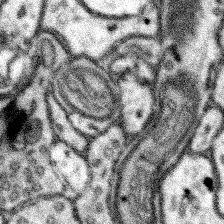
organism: Mouse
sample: Somatosensory cortex neuropil